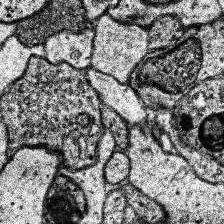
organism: Human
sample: Temporal Lobe